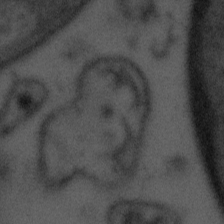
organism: Tuwongella immobilis